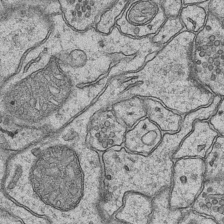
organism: Mouse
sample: CA1 Hippocampus